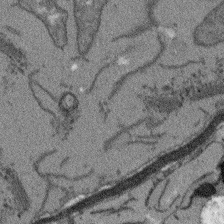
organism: Arabidopsis thaliana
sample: Root tip